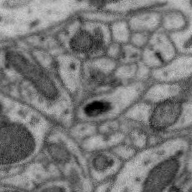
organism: Zebra finch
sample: Brain